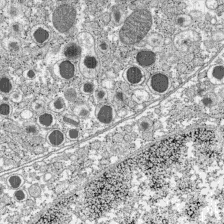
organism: C57BL Mouse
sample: Pancreatic islet